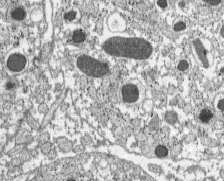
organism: C57BL Mouse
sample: Pancreatic islet